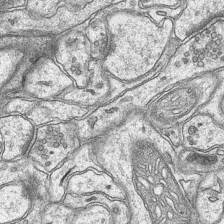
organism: Mouse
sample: CA1 Hippocampus